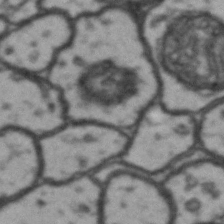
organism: Drosophila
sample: Brain